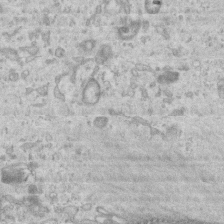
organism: Mouse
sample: Centriole in ependymal cells